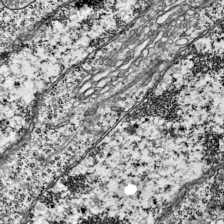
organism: Mouse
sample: Visual Cortex